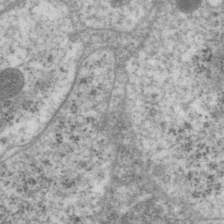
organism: P. pacificus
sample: Pharynx